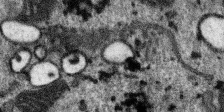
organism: Human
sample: Lung epithelial cells infected with SARS-CoV-2